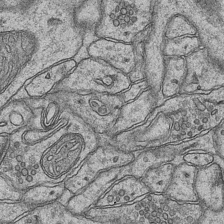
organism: Mouse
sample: CA1 Hippocampus